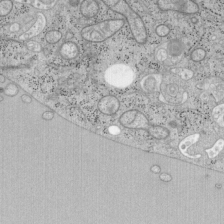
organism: Mouse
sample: OT-I killer T cells with ID8 ovarian cancer cells